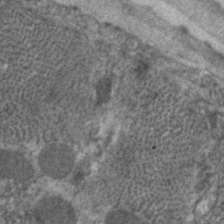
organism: C. elegans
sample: Pharynx